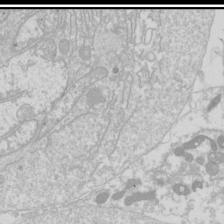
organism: Drosophila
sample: Cell division; meiosis; drosophila spermatocytes